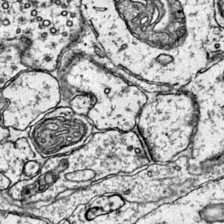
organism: Mouse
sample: Primary visual cortex